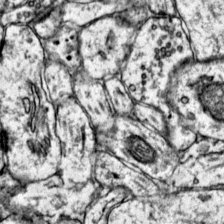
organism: Mouse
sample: Primary visual cortex